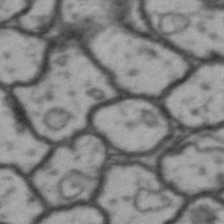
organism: Drosophila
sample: Brain